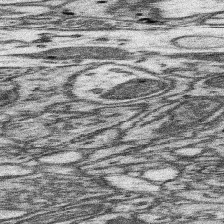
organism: Mouse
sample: Somatosensory cortex neuropil